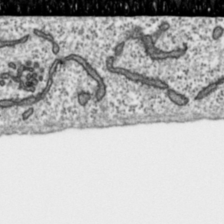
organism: Toxoplasma gondii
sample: Parasites in a vacuole inside a host cell